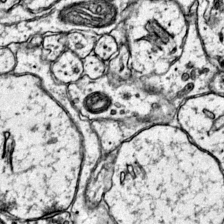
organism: Mouse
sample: Primary visual cortex